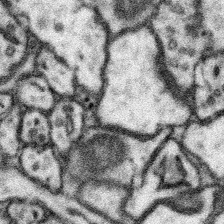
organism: Mouse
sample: Somatosensory cortex neuropil